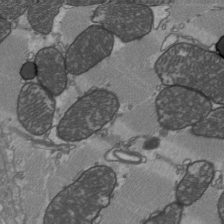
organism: C57BL Mouse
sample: Heart